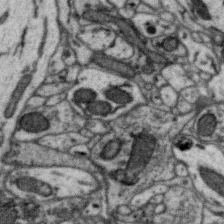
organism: Zebra finch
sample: Brain